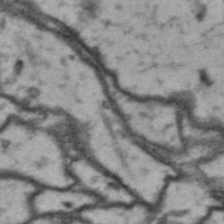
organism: Drosophila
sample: Brain